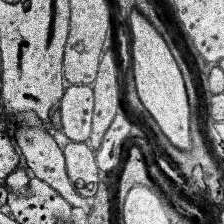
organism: Human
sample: Temporal Lobe